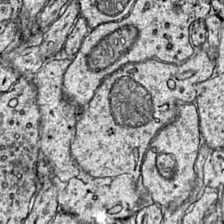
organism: Mouse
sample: Primary visual cortex